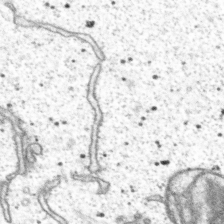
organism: Human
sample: HeLa cells